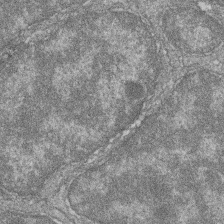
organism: Zebrafish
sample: Cilia; retinal pigment epithelium